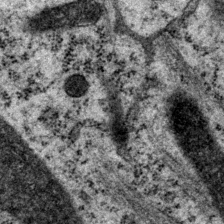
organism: P. pacificus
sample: Pharynx